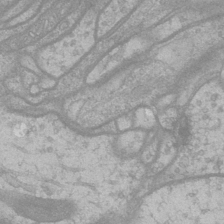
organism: Drosophila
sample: Optic medulla